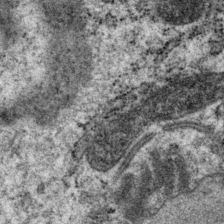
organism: P. pacificus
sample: Pharynx